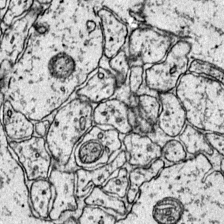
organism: Mouse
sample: Primary visual cortex